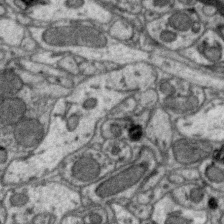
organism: Zebra finch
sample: Brain